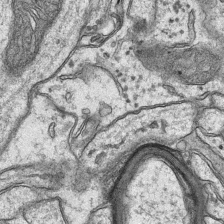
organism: Mouse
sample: CA1 Hippocampus